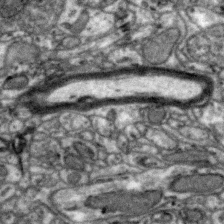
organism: Zebra finch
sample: Brain